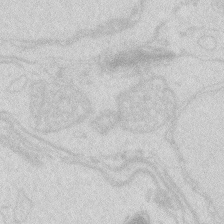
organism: Zebrafish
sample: Macrophage